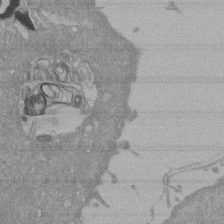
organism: Mouse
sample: ED-1 cell nuclei; centrioles